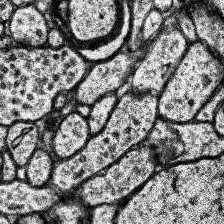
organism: Human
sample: Temporal Lobe